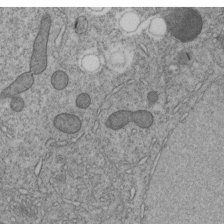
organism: C. elegans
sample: C. elegans embryo early stage